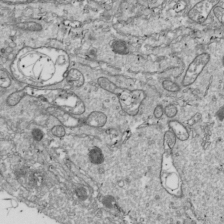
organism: Drosophila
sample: Cell division; meiosis; drosophila spermatocytes